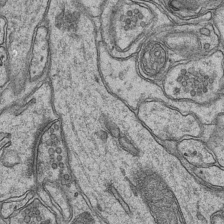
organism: Mouse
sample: CA1 Hippocampus